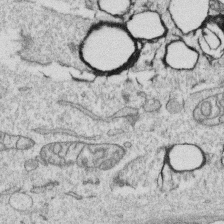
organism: Human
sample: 1205lu cells